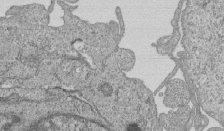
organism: Human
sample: MDA-MB-231 cells